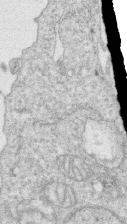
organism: Human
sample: HeLa cell HIV synapse